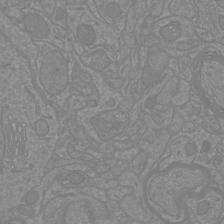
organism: Mouse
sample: Cortical neurons